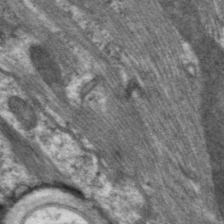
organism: C. elegans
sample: Pharynx